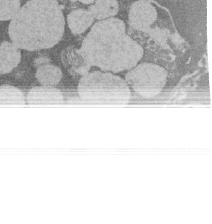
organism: Rat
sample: Salivary granule